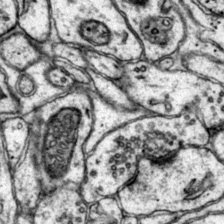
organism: Mouse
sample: Primary visual cortex